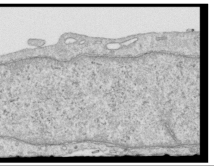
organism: Human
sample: Centriole in RPE cells